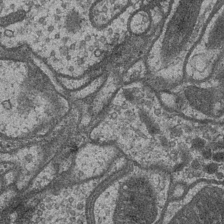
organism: Drosophila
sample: Optic medulla